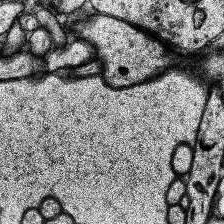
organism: Human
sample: Temporal Lobe